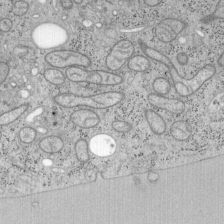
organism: Mouse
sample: OT-I killer T cells with ID8 ovarian cancer cells